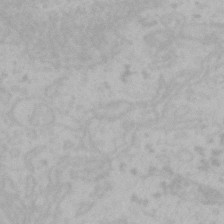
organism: Mouse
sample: Choroid plexus